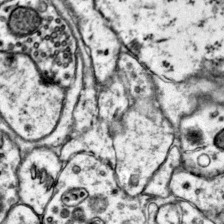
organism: Mouse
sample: Primary visual cortex